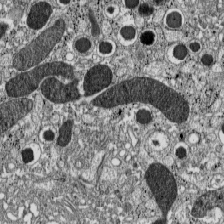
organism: C57BL Mouse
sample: Pancreatic islet